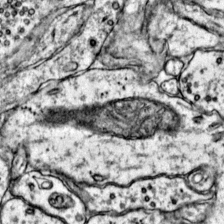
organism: Mouse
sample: Primary visual cortex